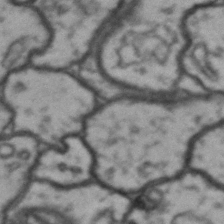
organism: Drosophila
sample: Brain